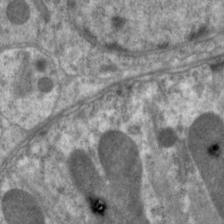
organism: C. elegans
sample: Pharynx